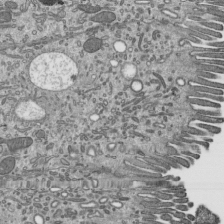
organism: Mouse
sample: Mouse epididymis efferent ductule cilia